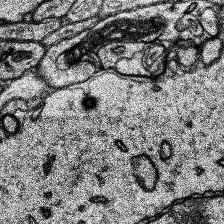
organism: Human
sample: Temporal Lobe